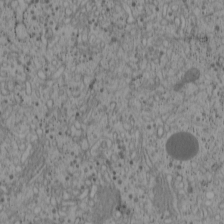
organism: African green monkey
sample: COS-7 cells